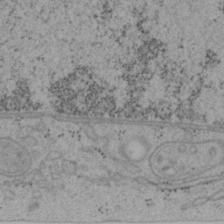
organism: Human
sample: HeLa cells